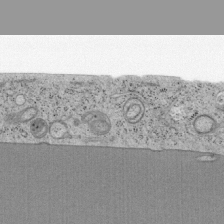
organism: Human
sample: HeLa cells